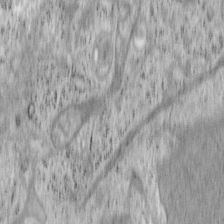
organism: Human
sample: HeLa cells